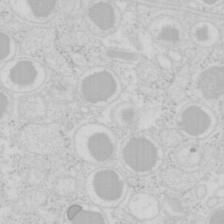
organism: Mouse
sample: Pancreas